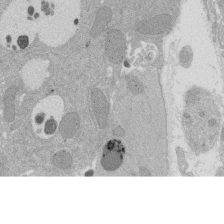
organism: Rat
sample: Salivary granule